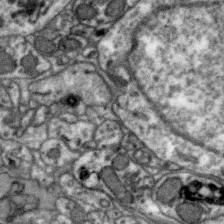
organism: Zebra finch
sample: Brain